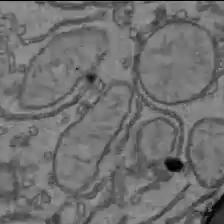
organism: C57BL Mouse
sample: Liver